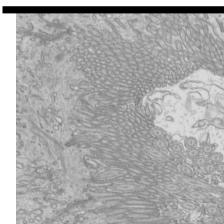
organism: Mouse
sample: Cilia; mouse epididymis